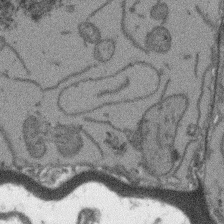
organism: Arabidopsis thaliana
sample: Root tip